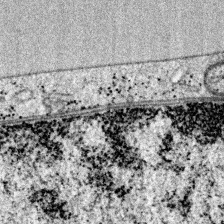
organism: Human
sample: HeLa cells